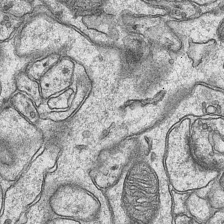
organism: Mouse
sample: CA1 Hippocampus